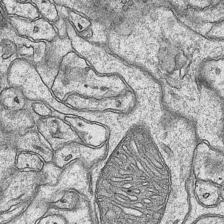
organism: Mouse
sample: CA1 Hippocampus